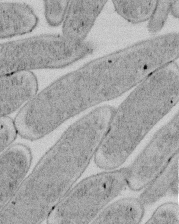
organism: E. coli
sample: Bacterial nucleoid